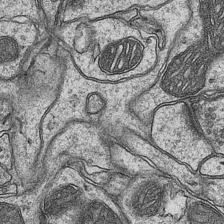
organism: Mouse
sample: CA1 Hippocampus